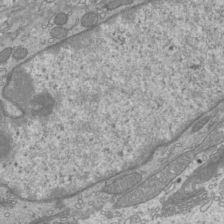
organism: Mouse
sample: Cilia; mouse epididymis